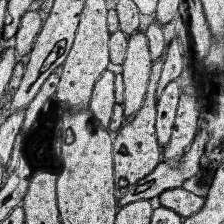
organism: Human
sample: Temporal Lobe